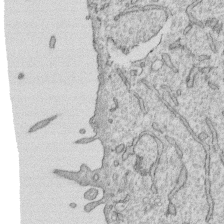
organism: Human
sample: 1205lu cells